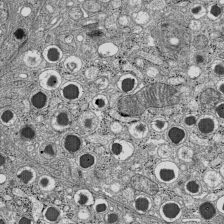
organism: C57BL Mouse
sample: Pancreatic islet